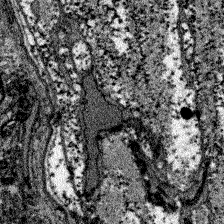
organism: Zebrafish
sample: Larval olfactory bulb